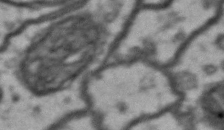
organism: Drosophila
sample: Brain